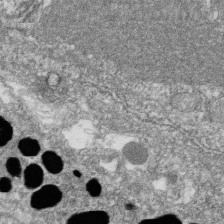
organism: Zebrafish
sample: Cilia; retinal pigment epithelium